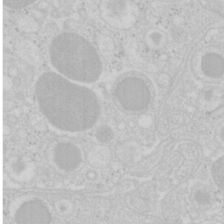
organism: Mouse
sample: Pancreas